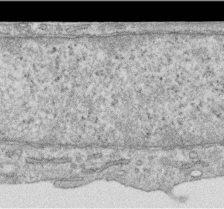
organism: Human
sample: Centriole in RPE cells